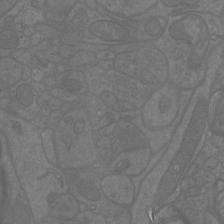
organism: Mouse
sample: Cortical neurons